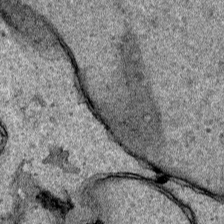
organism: Human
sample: Mitochondria in HCT116 cells